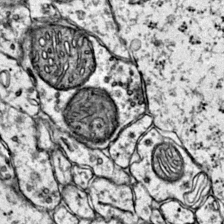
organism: Mouse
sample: Primary visual cortex